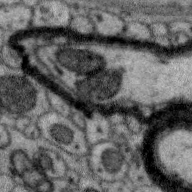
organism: Zebra finch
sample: Brain